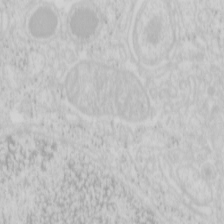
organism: Mouse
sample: Pancreas